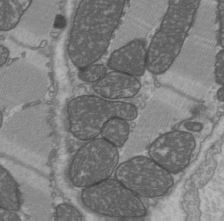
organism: C57BL Mouse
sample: Heart